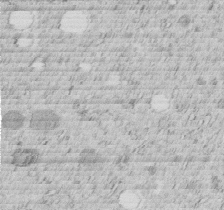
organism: C. elegans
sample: C. elegans embryo early stage